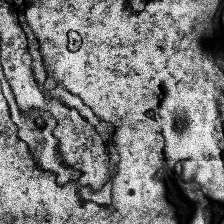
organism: Human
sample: Temporal Lobe